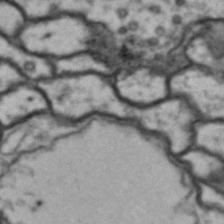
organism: Drosophila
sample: Brain